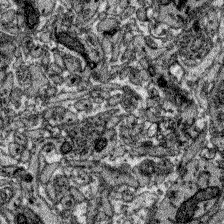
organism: Zebrafish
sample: Larval olfactory bulb